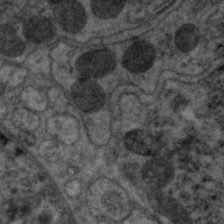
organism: C. elegans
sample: Pharynx